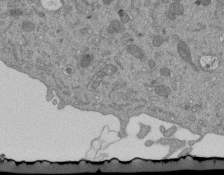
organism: Mouse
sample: ED-1 cell nuclei; centrioles